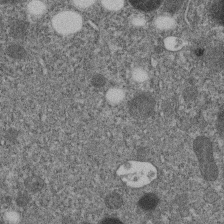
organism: C. elegans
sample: C. elegans embryo early stage